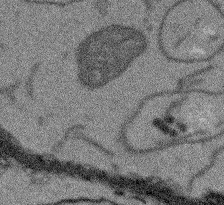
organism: Arabidopsis thaliana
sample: Root tip